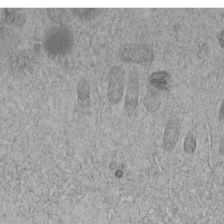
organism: C. elegans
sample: C. elegans embryo early stage